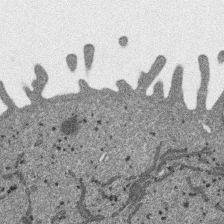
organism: Human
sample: Lung epithelial cells infected with SARS-CoV-2